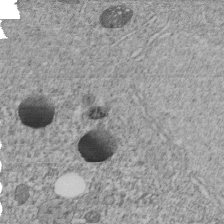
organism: C. elegans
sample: C. elegans embryo early stage